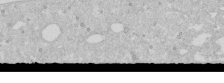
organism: Human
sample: Caco-2 cells